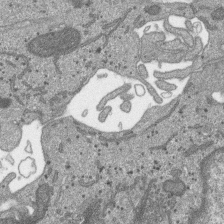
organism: Human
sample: Lung epithelial cells infected with SARS-CoV-2